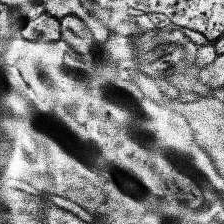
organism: Human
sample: Temporal Lobe